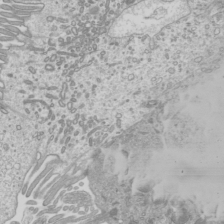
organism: Mouse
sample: Cilia; mouse epididymis